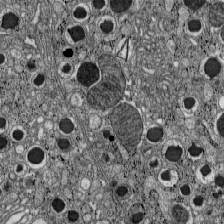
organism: C57BL Mouse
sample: Pancreatic islet